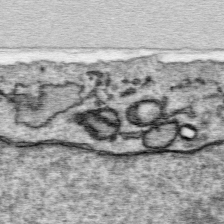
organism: Human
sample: HeLa cells